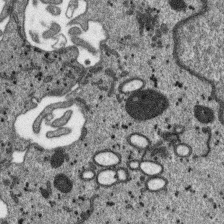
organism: Human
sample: Lung epithelial cells infected with SARS-CoV-2